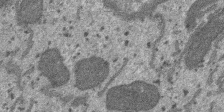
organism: Human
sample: Lung epithelial cells infected with SARS-CoV-2